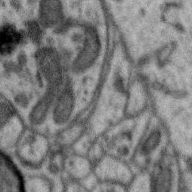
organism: Zebra finch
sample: Brain